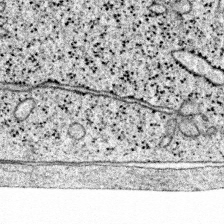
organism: Human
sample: HeLa cells